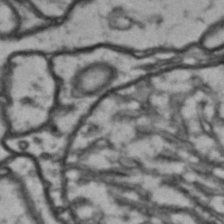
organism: Drosophila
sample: Brain